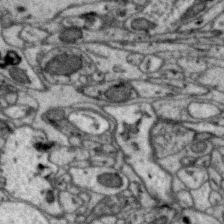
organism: Zebra finch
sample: Brain